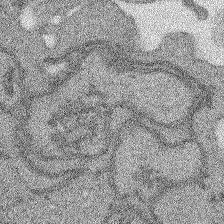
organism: Human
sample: HeLa cells